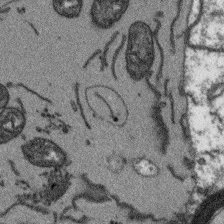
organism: Arabidopsis thaliana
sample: Root tip